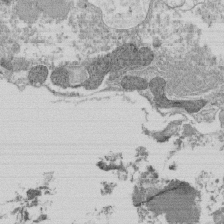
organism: Tetrahymena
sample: Cilia in tetrahymena